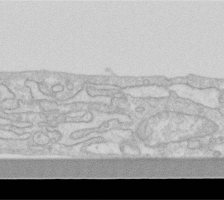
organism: Human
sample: Fibroblast cells